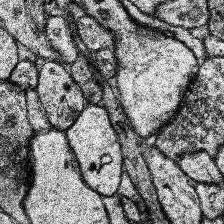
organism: Human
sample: Temporal Lobe